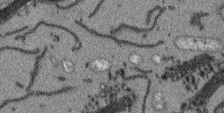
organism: Arabidopsis thaliana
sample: Root tip